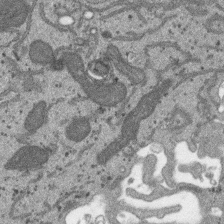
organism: Human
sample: Lung epithelial cells infected with SARS-CoV-2